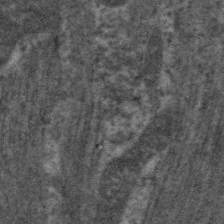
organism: C. elegans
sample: Pharynx